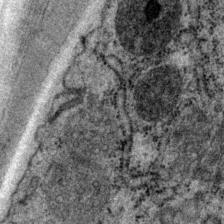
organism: P. pacificus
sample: Pharynx